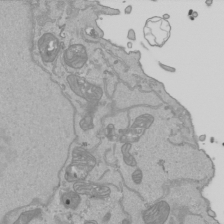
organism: Human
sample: Mitochondria in HCT116 cells